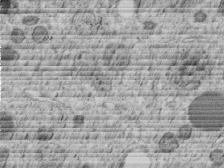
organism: C. elegans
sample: C. elegans embryo early stage